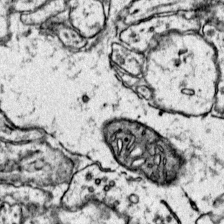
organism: Mouse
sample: Primary visual cortex